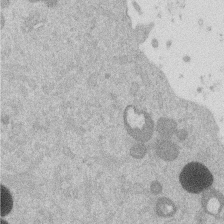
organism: Mouse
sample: Dividing mouse embryo 1 cell stage